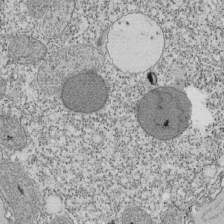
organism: Tetrahymena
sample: Cilia in tetrahymena